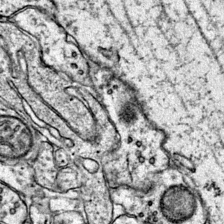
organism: Mouse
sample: Primary visual cortex